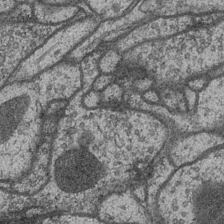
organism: Drosophila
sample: Optic medulla